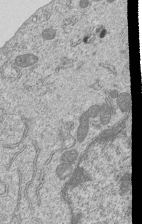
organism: Human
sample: MDA-MB-231 cells